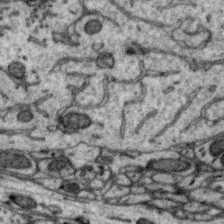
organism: Zebra finch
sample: Brain